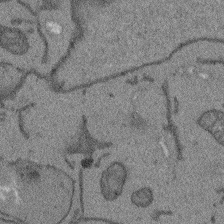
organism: Arabidopsis thaliana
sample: Root tip